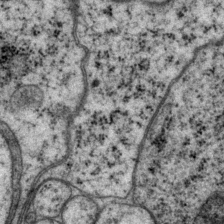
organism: P. pacificus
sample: Pharynx